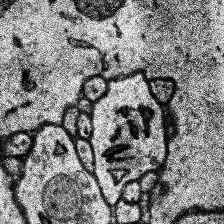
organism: Human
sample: Temporal Lobe